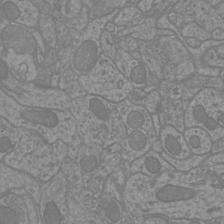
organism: Mouse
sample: Cortical neurons